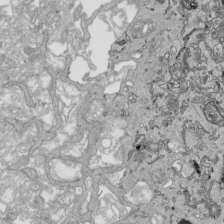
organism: Human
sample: Mitochondria in HCT116 cells